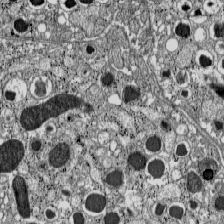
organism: C57BL Mouse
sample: Pancreatic islet